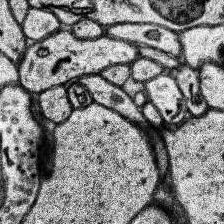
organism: Human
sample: Temporal Lobe